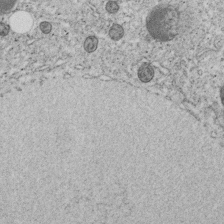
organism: C. elegans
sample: C. elegans embryo early stage